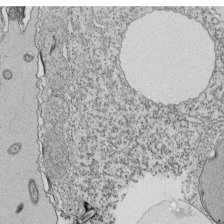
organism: Tetrahymena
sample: Cilia in tetrahymena